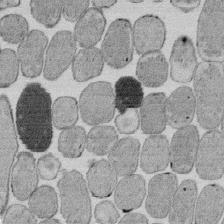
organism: E. coli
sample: Bacterial nucleoid